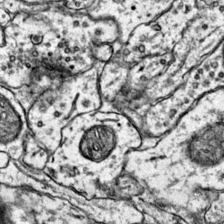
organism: Mouse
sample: Primary visual cortex